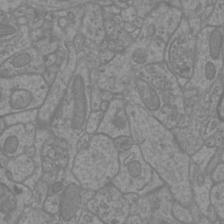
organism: Mouse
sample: Cortical neurons